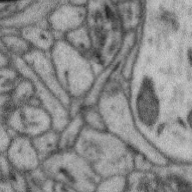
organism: Zebra finch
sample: Brain